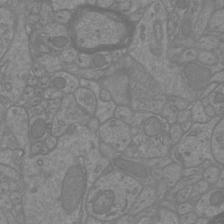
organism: Mouse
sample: Cortical neurons